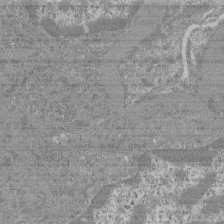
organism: Mouse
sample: Glomerulus